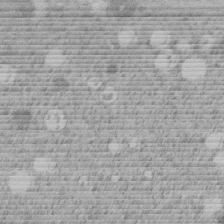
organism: C. elegans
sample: C. elegans embryo early stage